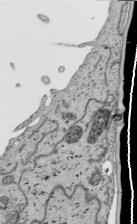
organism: Human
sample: Mitochondria in HCT116 cells